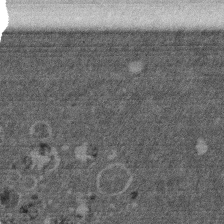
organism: Mouse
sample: Dividing mouse embryo 1 cell stage